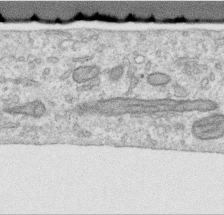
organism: Human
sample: Centriole in RPE cells